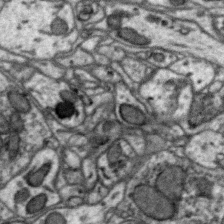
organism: Zebra finch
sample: Brain